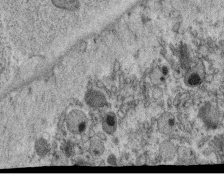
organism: C. elegans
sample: C. elegans oocyte; sperm cells